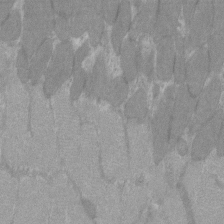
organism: C57BL Mouse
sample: Tibialis anterior muscle cell